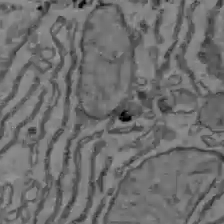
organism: C57BL Mouse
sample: Liver